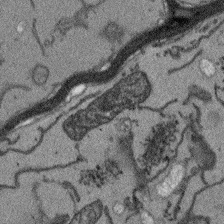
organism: Arabidopsis thaliana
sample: Root tip